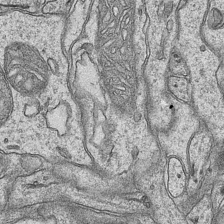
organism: Mouse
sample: CA1 Hippocampus